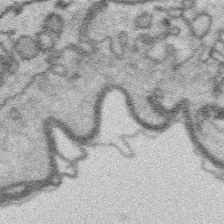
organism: Platynereis dumerilii